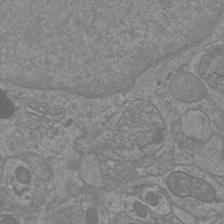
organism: Mouse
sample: Cortical neurons